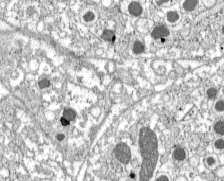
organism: C57BL Mouse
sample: Pancreatic islet